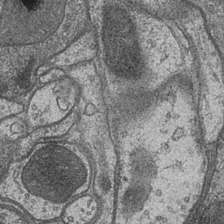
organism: Drosophila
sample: Optic medulla